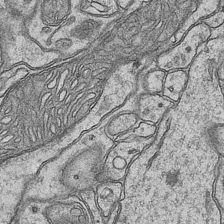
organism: Mouse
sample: CA1 Hippocampus